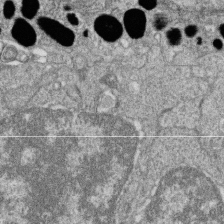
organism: Zebrafish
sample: Cilia; retinal pigment epithelium